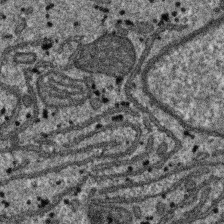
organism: Human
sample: Lung epithelial cells infected with SARS-CoV-2